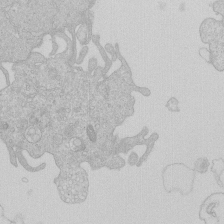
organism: Human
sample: Macrophage cells